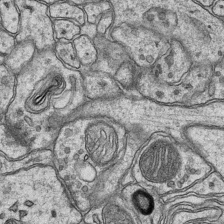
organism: Mouse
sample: CA1 Hippocampus